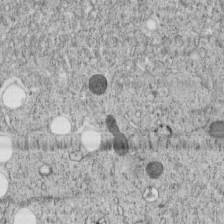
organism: C. elegans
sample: C. elegans embryo early stage